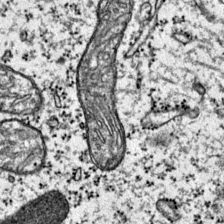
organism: Mouse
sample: Primary visual cortex